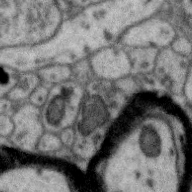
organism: Zebra finch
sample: Brain